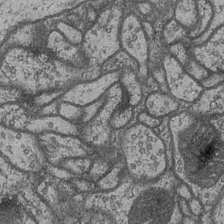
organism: Drosophila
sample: Optic medulla